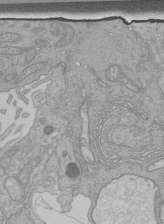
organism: Human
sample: Retinal organoid Rod and Cone cells